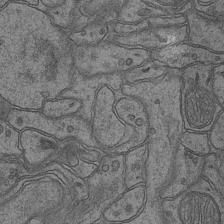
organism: Mouse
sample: CA1 Hippocampus